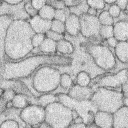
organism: Rabbit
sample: Retina